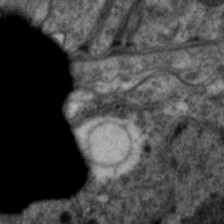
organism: C. elegans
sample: Pharynx